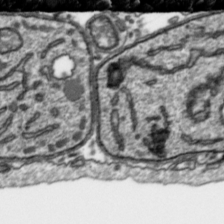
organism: Toxoplasma gondii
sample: Parasites in a vacuole inside a host cell